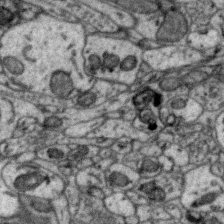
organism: Zebra finch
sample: Brain